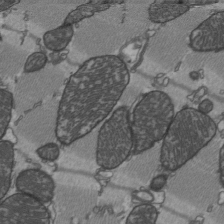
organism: C57BL Mouse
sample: Heart